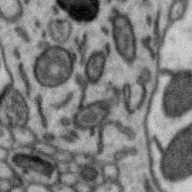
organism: Zebra finch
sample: Brain